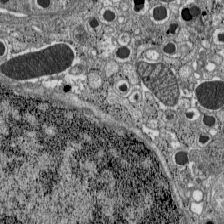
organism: C57BL Mouse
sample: Pancreatic islet